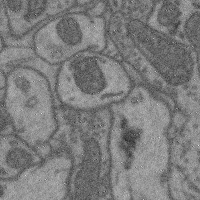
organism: Mouse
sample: Cerebral cortex